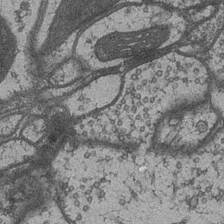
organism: Drosophila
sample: Optic medulla